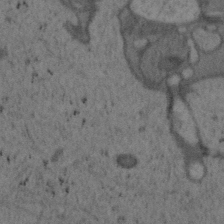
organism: Human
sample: HeLa cells